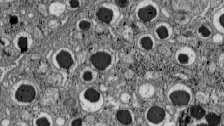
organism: C57BL Mouse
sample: Pancreatic islet